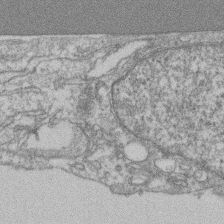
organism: Mouse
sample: T cell stromal cell synapse